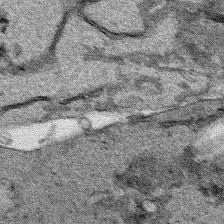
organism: Human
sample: Mitochondria in HCT116 cells